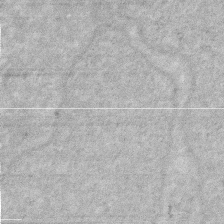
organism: Human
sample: HIV infected U937 cells